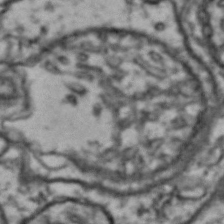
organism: Drosophila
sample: Brain